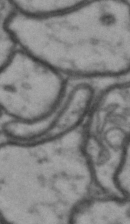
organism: Drosophila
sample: Brain